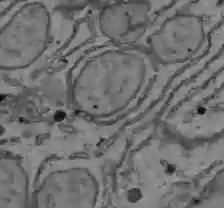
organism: C57BL Mouse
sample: Liver